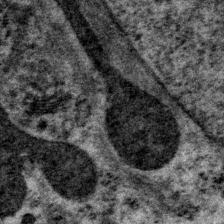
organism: P. pacificus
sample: Pharynx